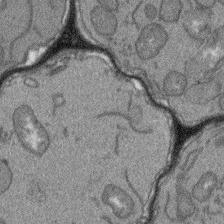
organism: Arabidopsis thaliana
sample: Root tip